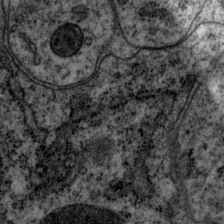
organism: P. pacificus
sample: Pharynx